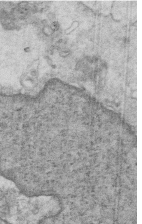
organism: Mouse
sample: Multiciliated cells